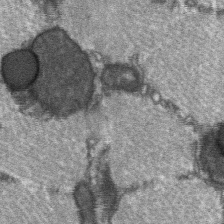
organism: C57BL Mouse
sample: Soleus